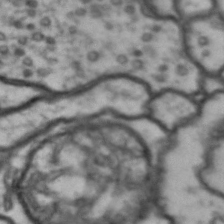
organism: Drosophila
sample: Brain